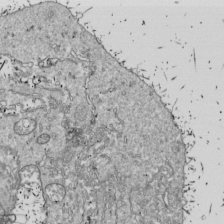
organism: Drosophila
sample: Cell division; meiosis; drosophila spermatocytes